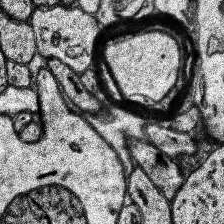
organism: Human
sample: Temporal Lobe